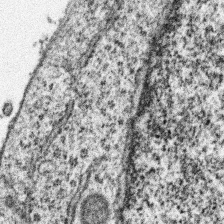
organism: Human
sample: HeLa cells